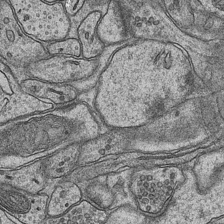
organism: Mouse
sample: CA1 Hippocampus